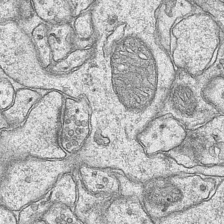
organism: Mouse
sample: CA1 Hippocampus